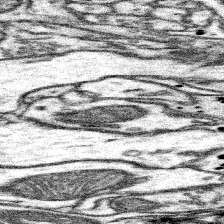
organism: Mouse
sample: Somatosensory cortex neuropil